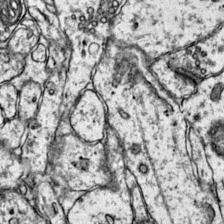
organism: Mouse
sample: Primary visual cortex